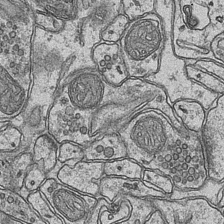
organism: Mouse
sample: CA1 Hippocampus